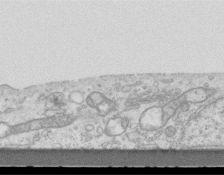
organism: Mouse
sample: Centriole in ependymal cells